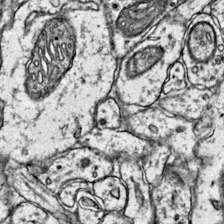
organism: Mouse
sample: Primary visual cortex